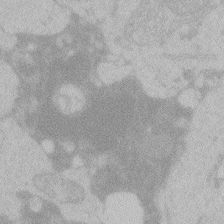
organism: Zebrafish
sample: Macrophage infected with Toxoplasma gondii